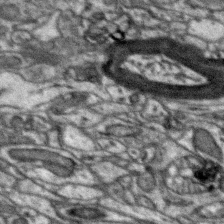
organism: Zebra finch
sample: Brain